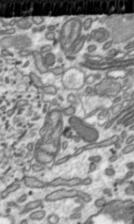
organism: Toxoplasma gondii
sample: Parasites in a vacuole inside a host cell